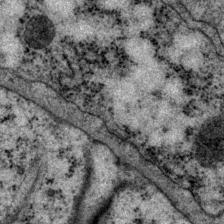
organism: P. pacificus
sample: Pharynx